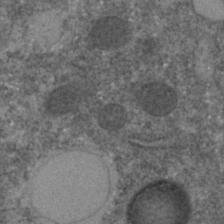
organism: C. elegans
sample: C. elegans embryo